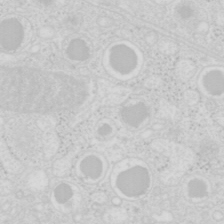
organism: Mouse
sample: Pancreas